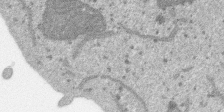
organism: Human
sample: Lung epithelial cells infected with SARS-CoV-2